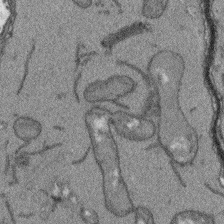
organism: Arabidopsis thaliana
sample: Root tip